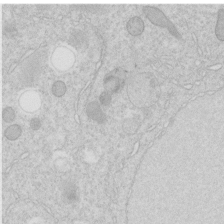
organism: C. elegans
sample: C. elegans embryo early stage